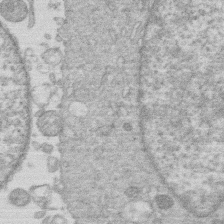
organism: Human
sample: Macrophage cells